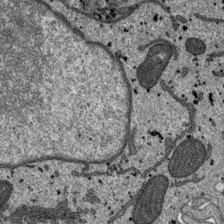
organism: Human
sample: Lung epithelial cells, uninfected (mock) control